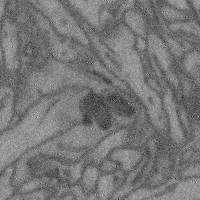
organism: Mouse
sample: Cerebral cortex